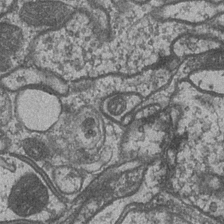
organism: Drosophila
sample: Optic medulla